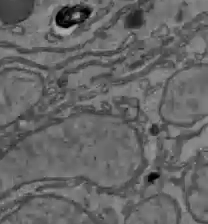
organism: C57BL Mouse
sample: Liver